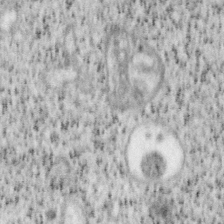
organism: Mouse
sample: OT-I killer T cells with ID8 ovarian cancer cells